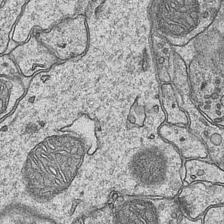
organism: Mouse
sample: CA1 Hippocampus